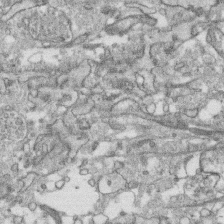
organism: Human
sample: CRL-1474